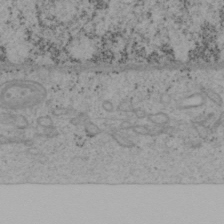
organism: Human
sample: HeLa cells